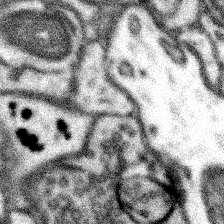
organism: Mouse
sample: Somatosensory cortex neuropil